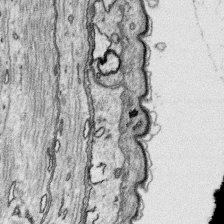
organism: Platynereis dumerilii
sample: Parapodia